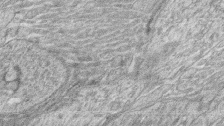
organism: Zebrafish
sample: synaptic ribbons in rod cells and cone cells